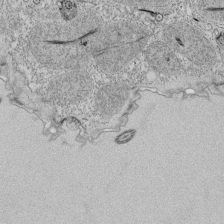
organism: Tetrahymena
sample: Cilia in tetrahymena